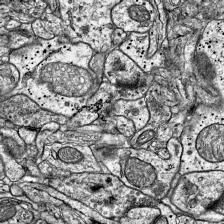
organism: Mouse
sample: Visual Cortex